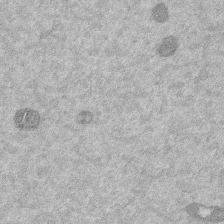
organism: Mouse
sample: Dividing mouse embryo 1 cell stage